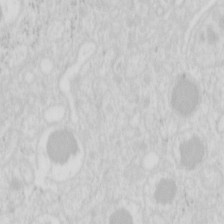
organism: Mouse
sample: Pancreas